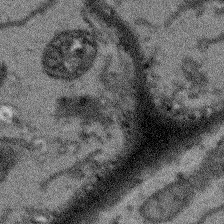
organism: Arabidopsis thaliana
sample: Root tip